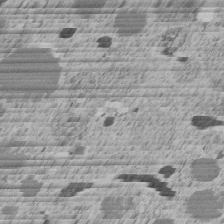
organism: C. elegans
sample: C. elegans embryo early stage